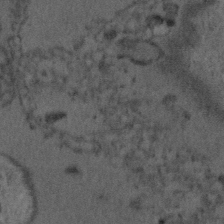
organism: Human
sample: HeLa cells